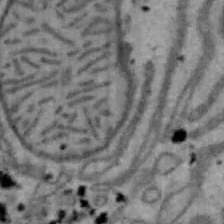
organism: Mouse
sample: Liver